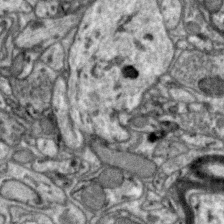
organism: Zebra finch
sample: Brain